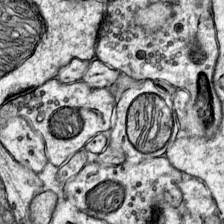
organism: Mouse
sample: Primary visual cortex